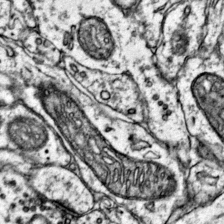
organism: Mouse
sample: Primary visual cortex